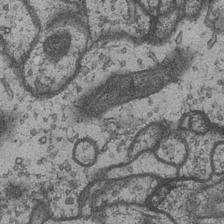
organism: Drosophila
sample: Optic medulla